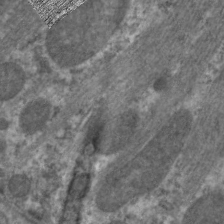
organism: C. elegans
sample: Pharynx